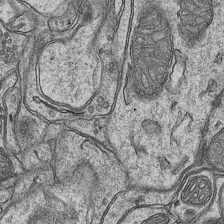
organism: Mouse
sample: CA1 Hippocampus